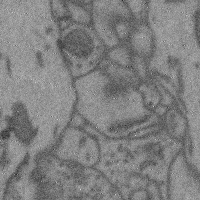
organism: Mouse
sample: Cerebral cortex